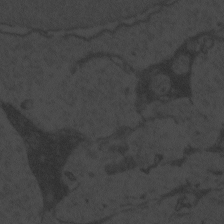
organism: Zebrafish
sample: Macrophage infected with Toxoplasma gondii